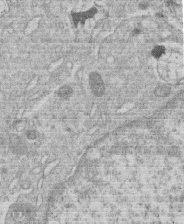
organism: Human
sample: Macrophage cells